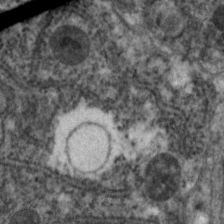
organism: C. elegans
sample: Pharynx